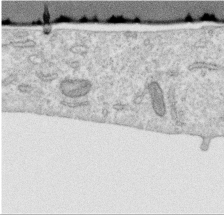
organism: Human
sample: Centriole in RPE cells